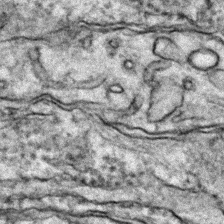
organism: Zebrafish